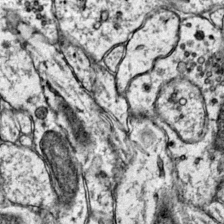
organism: Mouse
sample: Primary visual cortex